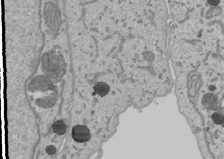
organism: Human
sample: Mitochondria in U2OS cells